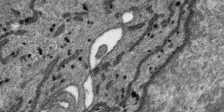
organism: Human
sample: Lung epithelial cells, uninfected (mock) control